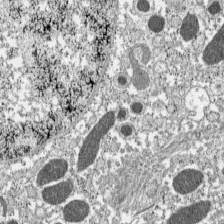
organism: C57BL Mouse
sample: Pancreatic islet